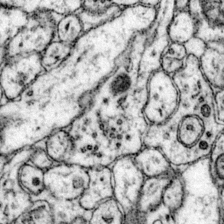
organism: Mouse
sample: Primary visual cortex